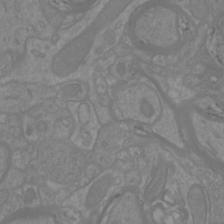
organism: Mouse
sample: Cortical neurons